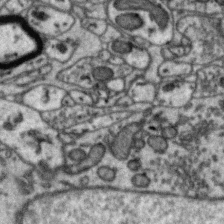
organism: Zebra finch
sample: Brain